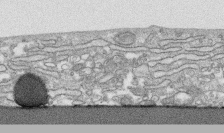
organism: Human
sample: CRL-1474